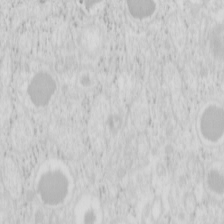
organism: Mouse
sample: Pancreas